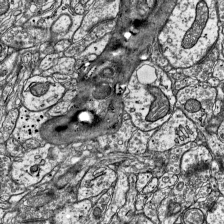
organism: Mouse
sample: Visual Cortex